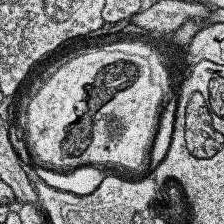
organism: Human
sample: Temporal Lobe